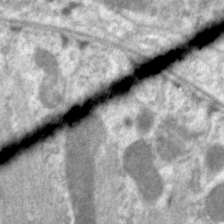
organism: C. elegans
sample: Pharynx